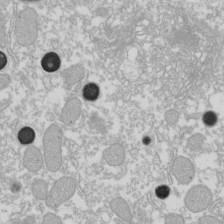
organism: Xenopus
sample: Cilia; centrioles in frog embryo cells